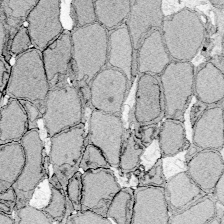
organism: Zebrafish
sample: Whole-Brain